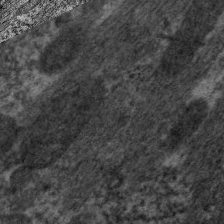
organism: C. elegans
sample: Pharynx